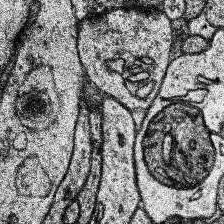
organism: Human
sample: Temporal Lobe